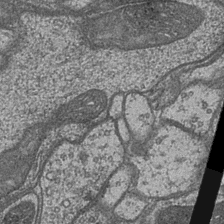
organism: Drosophila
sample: Optic medulla